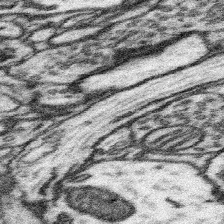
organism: Mouse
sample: Somatosensory cortex neuropil